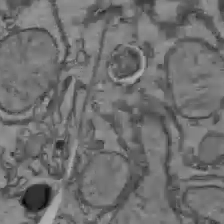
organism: C57BL Mouse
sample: Liver